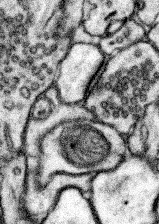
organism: Mouse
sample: Somatosensory cortex neuropil